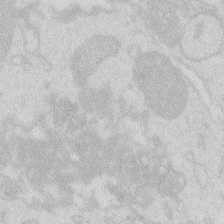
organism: Zebrafish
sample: Macrophage